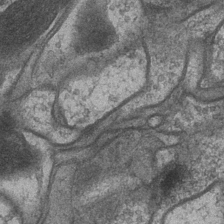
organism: Drosophila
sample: Optic medulla